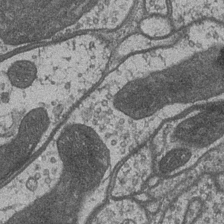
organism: Drosophila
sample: Optic medulla